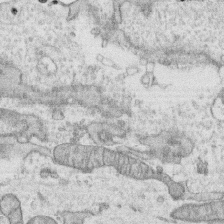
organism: Human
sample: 1205lu cells